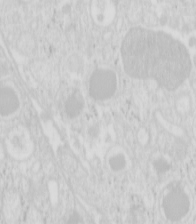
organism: Mouse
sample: Pancreas